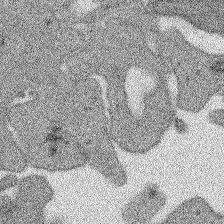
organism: Human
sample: HeLa cells